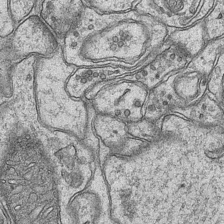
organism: Mouse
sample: CA1 Hippocampus